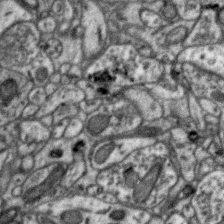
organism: Zebra finch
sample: Brain